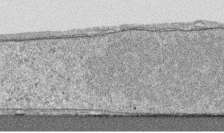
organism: Human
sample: CRL-1474